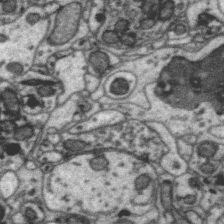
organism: Zebra finch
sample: Brain